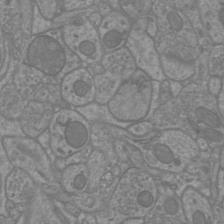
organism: Mouse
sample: Cortical neurons